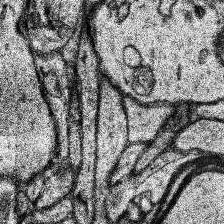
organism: Human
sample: Temporal Lobe